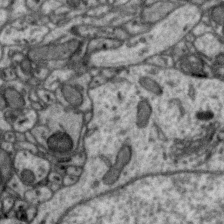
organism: Zebra finch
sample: Brain